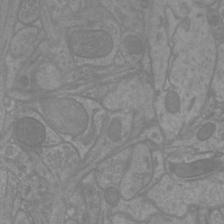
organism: Mouse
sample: Cortical neurons